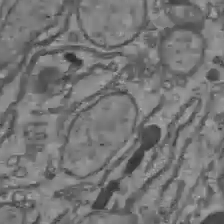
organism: C57BL Mouse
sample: Liver